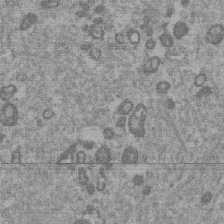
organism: Mouse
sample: Dividing mouse embryo 1 cell stage